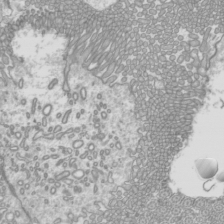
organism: Mouse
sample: Cilia; mouse epididymis